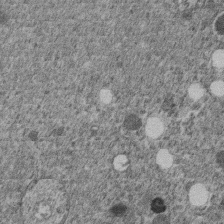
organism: C. elegans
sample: C. elegans embryo early stage